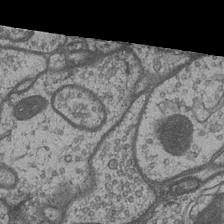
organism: Drosophila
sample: Optic medulla